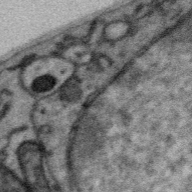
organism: Zebra finch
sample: Brain